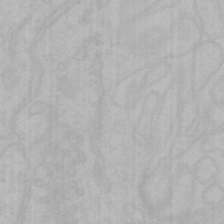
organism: Mouse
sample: Choroid plexus